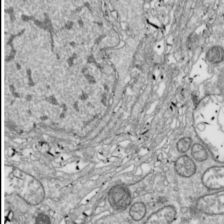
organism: Drosophila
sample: Cell division; meiosis; drosophila spermatocytes